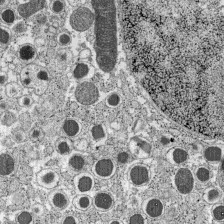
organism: C57BL Mouse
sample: Pancreatic islet